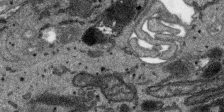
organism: Human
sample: Lung epithelial cells, uninfected (mock) control